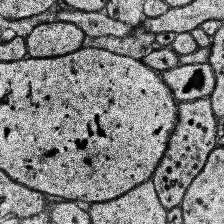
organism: Human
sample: Temporal Lobe